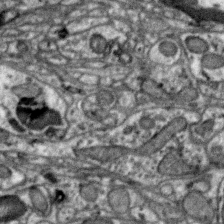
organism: Zebra finch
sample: Brain